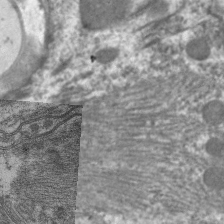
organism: C. elegans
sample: Pharynx